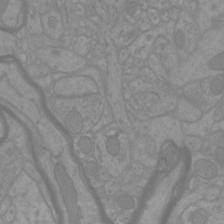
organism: Mouse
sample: Cortical neurons